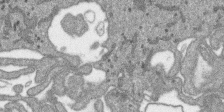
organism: Human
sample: Lung epithelial cells infected with SARS-CoV-2